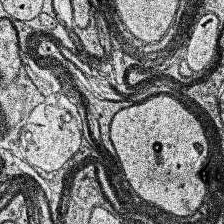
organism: Human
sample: Temporal Lobe